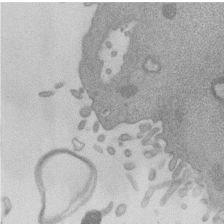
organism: Mouse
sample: Dividing mouse embryo 1 cell stage